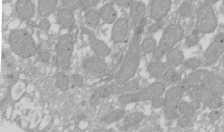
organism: Xenopus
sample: Cilia; centrioles in frog embryo cells